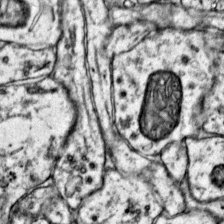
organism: Mouse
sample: Primary visual cortex